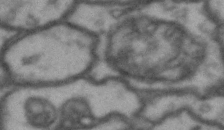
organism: Drosophila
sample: Brain